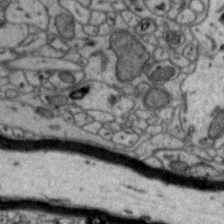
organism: Zebra finch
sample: Brain